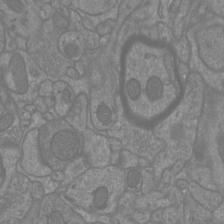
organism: Mouse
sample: Cortical neurons